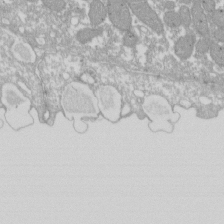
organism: Xenopus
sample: Cilia; centrioles in frog embryo cells